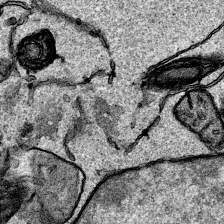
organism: Human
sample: Mitochondria in HCT116 cells